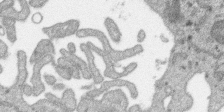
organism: Human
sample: Lung epithelial cells infected with SARS-CoV-2